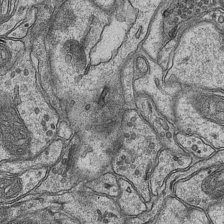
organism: Mouse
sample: CA1 Hippocampus